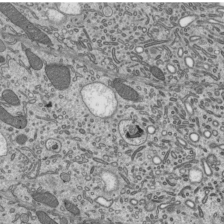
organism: Mouse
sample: Mouse epididymis efferent ductule cilia